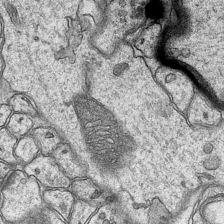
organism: Mouse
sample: CA1 Hippocampus